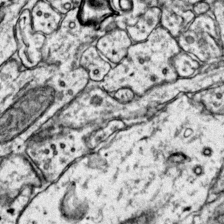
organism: Mouse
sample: Primary visual cortex